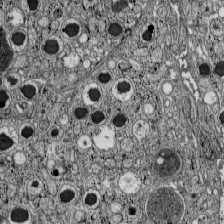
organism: C57BL Mouse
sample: Pancreatic islet